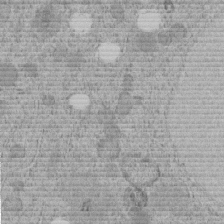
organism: C. elegans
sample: C. elegans embryo early stage